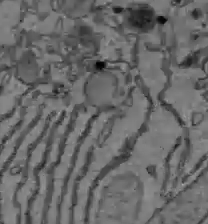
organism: C57BL Mouse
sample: Liver